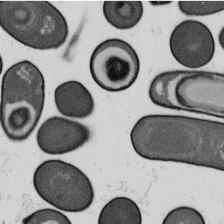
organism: B. subtilis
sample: Bacterial spore